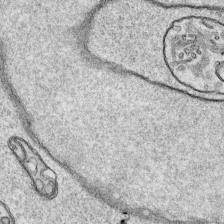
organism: Human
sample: Mitochondria in HCT116 cells